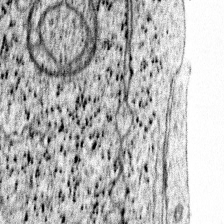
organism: Human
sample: HeLa cells